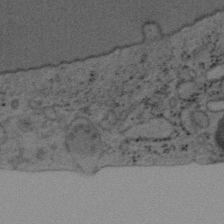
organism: Human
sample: HeLa cells